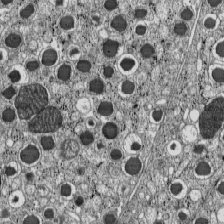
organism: C57BL Mouse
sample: Pancreatic islet